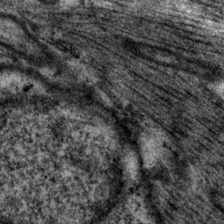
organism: P. pacificus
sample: Pharynx